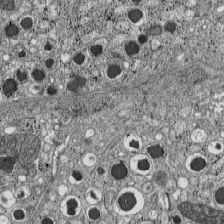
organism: C57BL Mouse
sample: Pancreatic islet